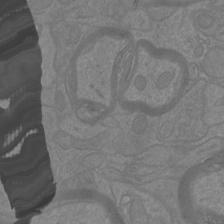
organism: Mouse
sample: Cortical neurons